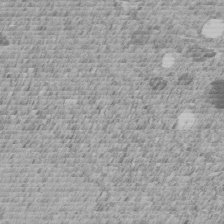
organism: C. elegans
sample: C. elegans embryo early stage